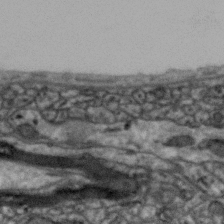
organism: Zebra finch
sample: Brain